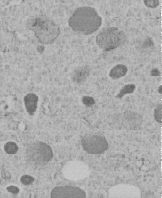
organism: C. elegans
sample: C. elegans embryo early stage